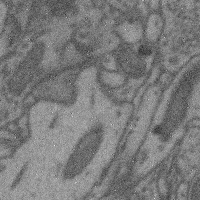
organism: Mouse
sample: Cerebral cortex